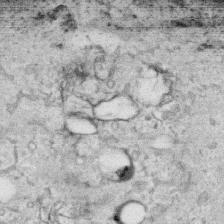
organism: Human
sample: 1205lu cells